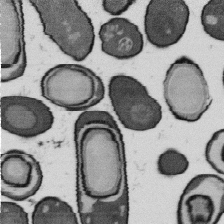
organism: B. subtilis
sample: Bacterial spore